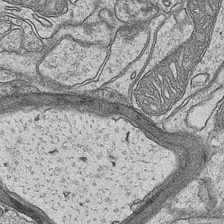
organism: Mouse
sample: CA1 Hippocampus